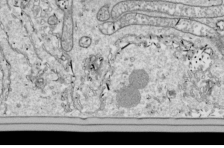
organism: Drosophila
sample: Cell division; meiosis; drosophila spermatocytes